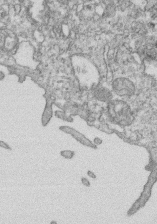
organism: Human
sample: HeLa cell HIV synapse